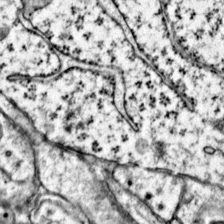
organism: Mouse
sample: Primary visual cortex